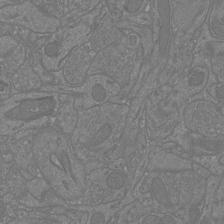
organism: Mouse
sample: Cortical neurons